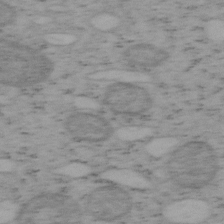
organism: Mouse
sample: OT-I killer T cells with ID8 ovarian cancer cells